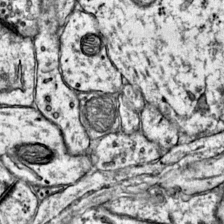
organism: Mouse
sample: Primary visual cortex